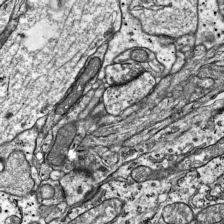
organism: Mouse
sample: Visual Cortex